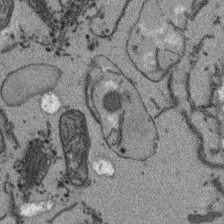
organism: Arabidopsis thaliana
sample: Root tip